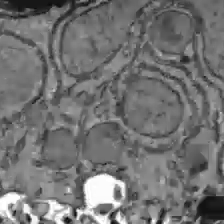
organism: C57BL Mouse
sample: Liver